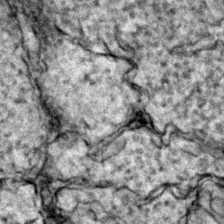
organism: Zebrafish